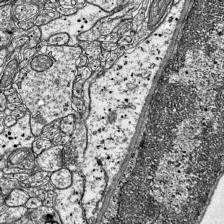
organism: Mouse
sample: Visual Cortex